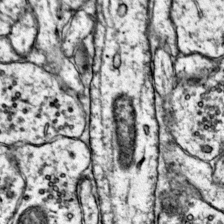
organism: Mouse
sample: Primary visual cortex